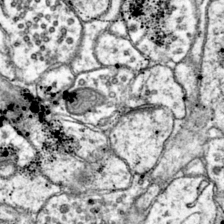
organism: Mouse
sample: Primary visual cortex